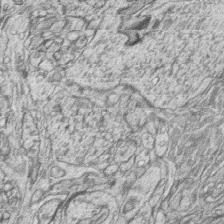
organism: Zebrafish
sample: synaptic ribbons in rod cells and cone cells